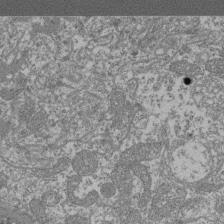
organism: Mouse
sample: Glomerulus